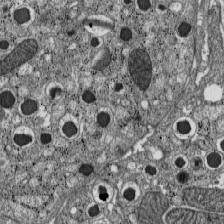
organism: C57BL Mouse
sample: Pancreatic islet